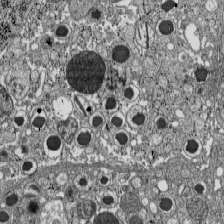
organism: C57BL Mouse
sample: Pancreatic islet